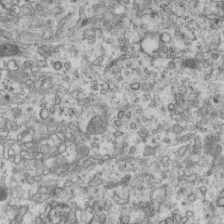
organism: Mouse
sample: Centriole in ependymal cells